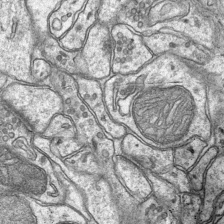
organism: Mouse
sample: CA1 Hippocampus